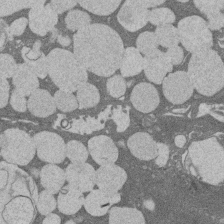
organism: Rat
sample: Salivary granule